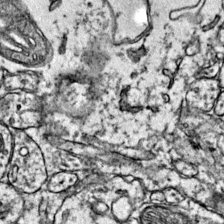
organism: Mouse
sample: Primary visual cortex